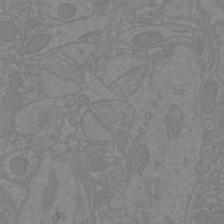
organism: Mouse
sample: Cortical neurons